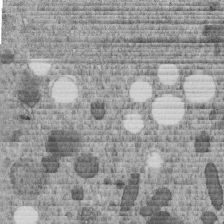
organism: C. elegans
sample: C. elegans embryo early stage